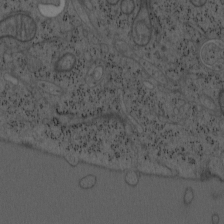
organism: Mouse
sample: OT-I killer T cells with ID8 ovarian cancer cells